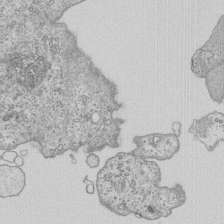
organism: Human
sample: MDA-MB-231 cells